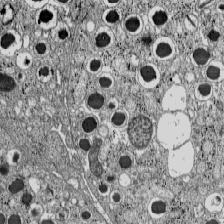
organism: C57BL Mouse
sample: Pancreatic islet